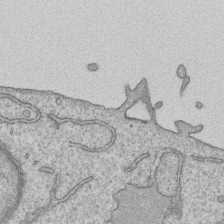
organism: Human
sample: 1205lu cells